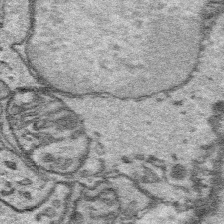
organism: Platynereis dumerilii